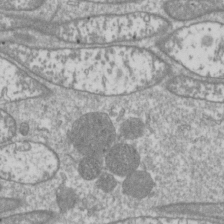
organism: Drosophila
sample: Cell division; meiosis; drosophila spermatocytes